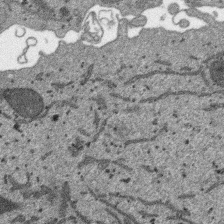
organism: Human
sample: Lung epithelial cells infected with SARS-CoV-2